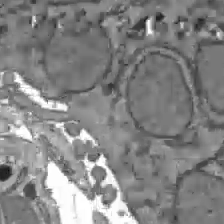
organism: C57BL Mouse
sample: Liver